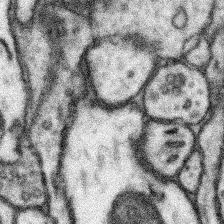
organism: Mouse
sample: Somatosensory cortex neuropil